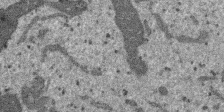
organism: Human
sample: Lung epithelial cells infected with SARS-CoV-2